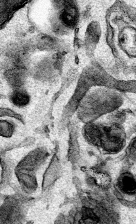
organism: Mouse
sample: Cancer cell death in ED-1 cells